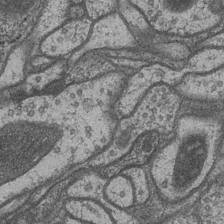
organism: Drosophila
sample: Optic medulla